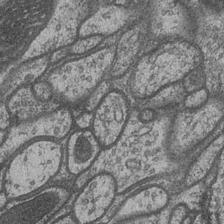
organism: Drosophila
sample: Optic medulla